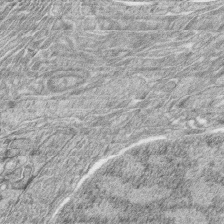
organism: Zebrafish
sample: synaptic ribbons in rod cells and cone cells